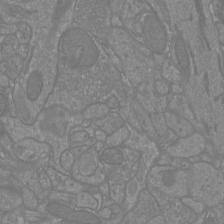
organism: Mouse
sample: Cortical neurons